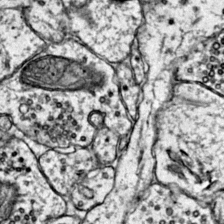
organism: Mouse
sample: Primary visual cortex